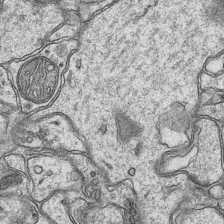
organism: Mouse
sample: CA1 Hippocampus